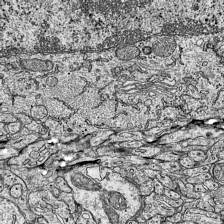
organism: Mouse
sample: Visual Cortex